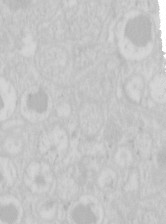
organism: Mouse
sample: Pancreas